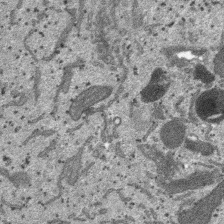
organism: Human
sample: Lung epithelial cells infected with SARS-CoV-2